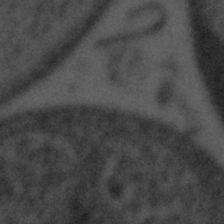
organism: Tuwongella immobilis